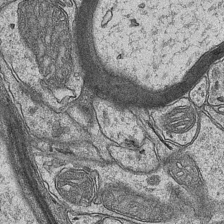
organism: Mouse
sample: CA1 Hippocampus